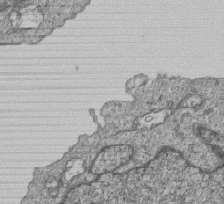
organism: Human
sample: MDA-MB-231 cells